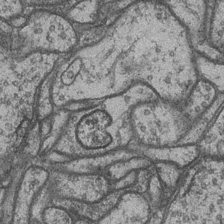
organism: Drosophila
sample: Optic medulla